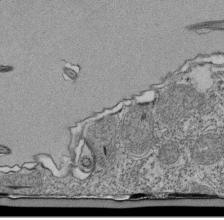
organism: Tetrahymena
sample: Cilia in tetrahymena